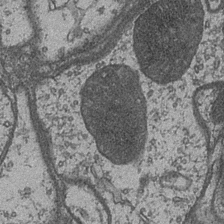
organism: Drosophila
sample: Optic medulla